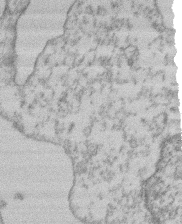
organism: Mouse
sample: T cell stromal cell synapse